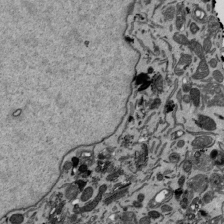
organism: Mouse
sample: ED-1 cell nuclei; centrioles